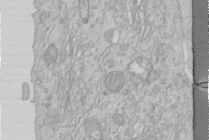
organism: Human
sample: Centriole in RPE cells